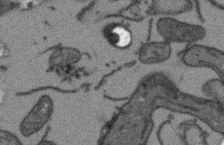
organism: Arabidopsis thaliana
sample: Root tip